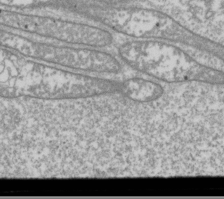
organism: Drosophila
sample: Cell division; meiosis; drosophila spermatocytes